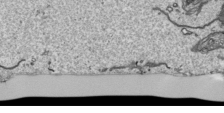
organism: Human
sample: Mitochondria in HCT116 cells